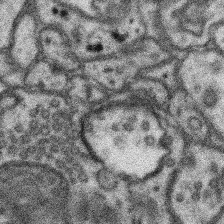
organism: Mouse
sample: Somatosensory cortex neuropil